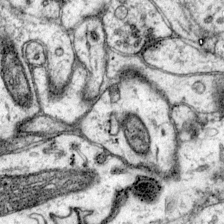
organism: Mouse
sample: Primary visual cortex